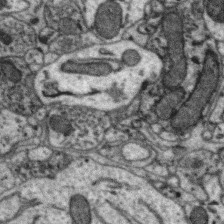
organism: Zebra finch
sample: Brain